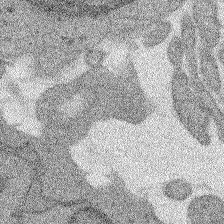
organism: Human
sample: HeLa cells